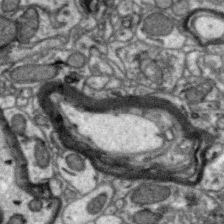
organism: Zebra finch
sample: Brain